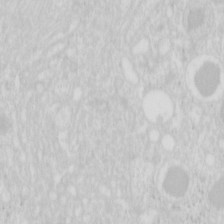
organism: Mouse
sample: Pancreas